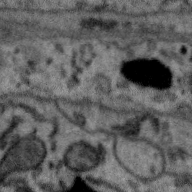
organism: Zebra finch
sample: Brain